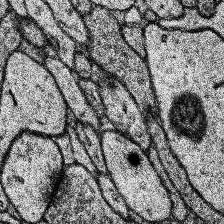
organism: Human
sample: Temporal Lobe